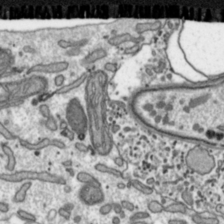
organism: Toxoplasma gondii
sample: Parasites in a vacuole inside a host cell